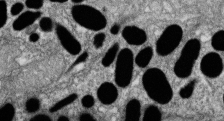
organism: Zebrafish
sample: Cilia; retinal pigment epithelium